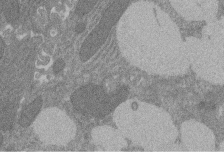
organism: Rat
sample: Salivary granule